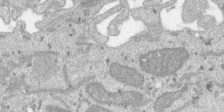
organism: Human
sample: Lung epithelial cells infected with SARS-CoV-2